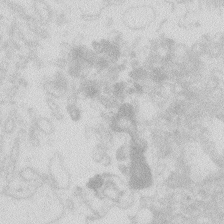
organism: Zebrafish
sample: Macrophage